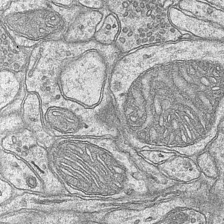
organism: Mouse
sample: CA1 Hippocampus